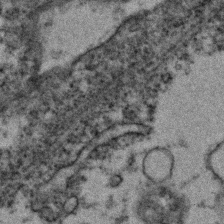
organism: Zebrafish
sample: Zebrafish embryo